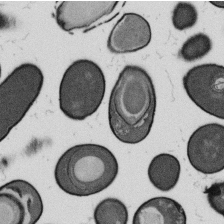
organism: B. subtilis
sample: Bacterial spore